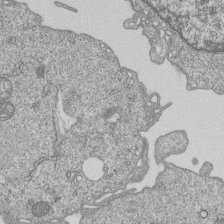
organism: Human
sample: MDA-MB-231 cells